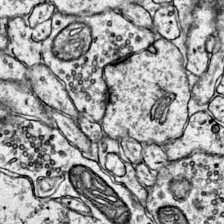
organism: Mouse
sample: Primary visual cortex